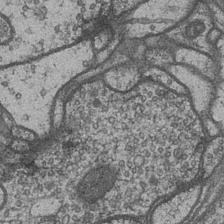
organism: Drosophila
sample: Optic medulla